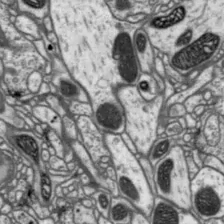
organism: Drosophila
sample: Protocerebral bridge